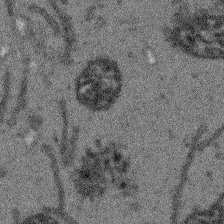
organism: Arabidopsis thaliana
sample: Root tip